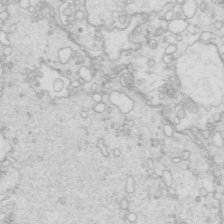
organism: Mouse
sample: Multiciliated cells